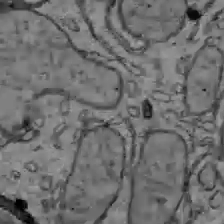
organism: C57BL Mouse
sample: Liver